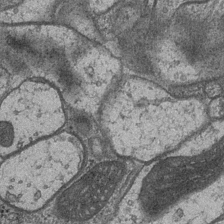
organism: Drosophila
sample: Optic medulla